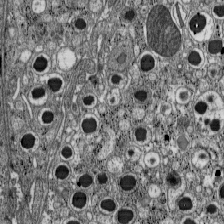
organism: C57BL Mouse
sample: Pancreatic islet